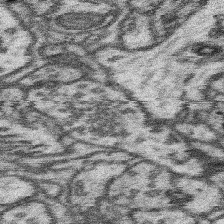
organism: Mouse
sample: Somatosensory cortex neuropil